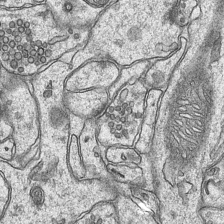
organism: Mouse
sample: CA1 Hippocampus